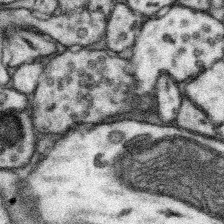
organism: Mouse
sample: Somatosensory cortex neuropil